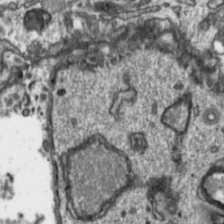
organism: Toxoplasma gondii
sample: Parasites in a vacuole inside a host cell